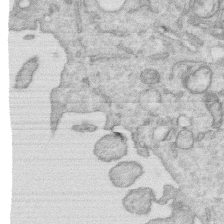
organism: Human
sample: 1205lu cells